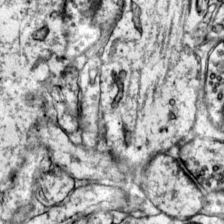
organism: Mouse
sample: Primary visual cortex